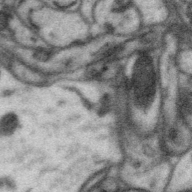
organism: Zebra finch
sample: Brain